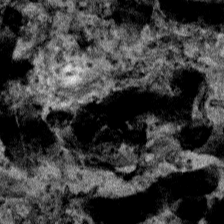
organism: Human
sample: Mitochondria in HCT116 cells